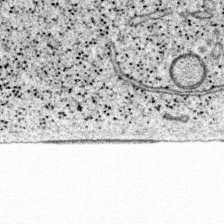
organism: Human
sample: HeLa cells